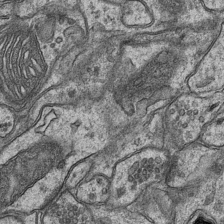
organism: Mouse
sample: CA1 Hippocampus